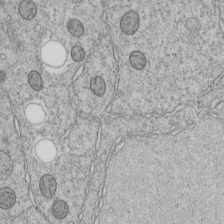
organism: C. elegans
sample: C. elegans embryo early stage